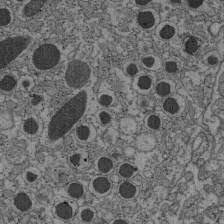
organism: C57BL Mouse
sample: Pancreatic islet